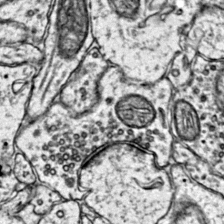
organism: Mouse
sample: Primary visual cortex